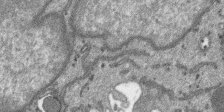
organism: Human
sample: Lung epithelial cells infected with SARS-CoV-2